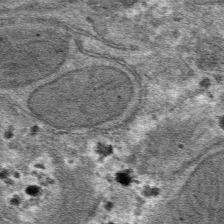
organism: Mouse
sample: Mouse hepatocytes